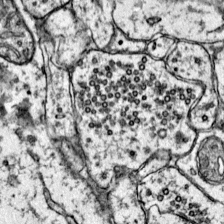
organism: Mouse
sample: Primary visual cortex